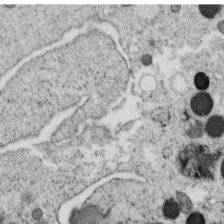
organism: C. elegans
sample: C. elegans oocyte; sperm cells